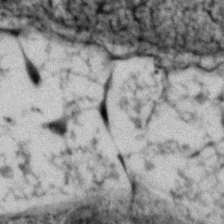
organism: Zebrafish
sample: Zebrafish embryo